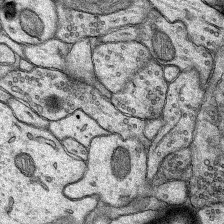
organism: Rat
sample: Hippocampus